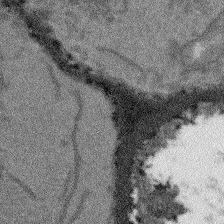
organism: Arabidopsis thaliana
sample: Root tip